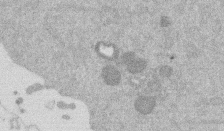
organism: Mouse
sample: Dividing mouse embryo 1 cell stage